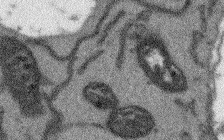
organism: Arabidopsis thaliana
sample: Root tip